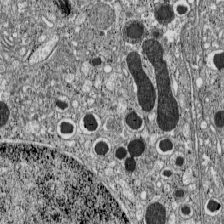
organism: C57BL Mouse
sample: Pancreatic islet